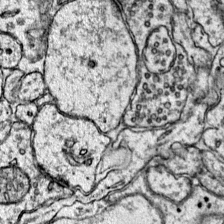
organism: Mouse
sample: Primary visual cortex